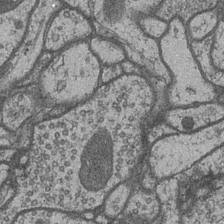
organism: Drosophila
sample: Optic medulla